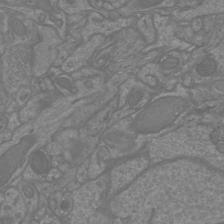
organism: Mouse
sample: Cortical neurons